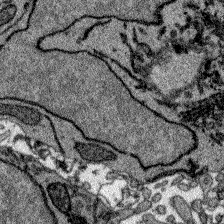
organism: Zebrafish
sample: Larval olfactory bulb